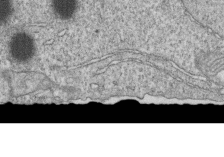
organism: Human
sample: HeLa cell HIV synapse